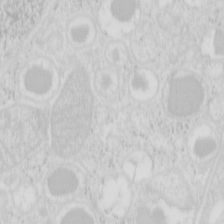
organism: Mouse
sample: Pancreas